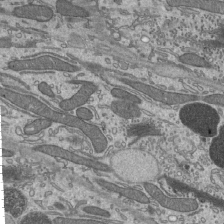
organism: Mouse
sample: Mouse epididymis efferent ductule cilia